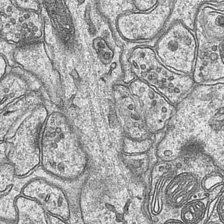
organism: Mouse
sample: CA1 Hippocampus